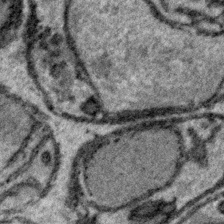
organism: Plasmodium falciparum